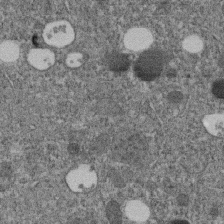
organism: C. elegans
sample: C. elegans embryo early stage